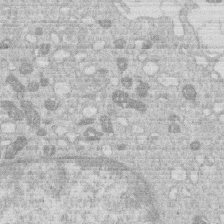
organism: Human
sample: Macrophage cells